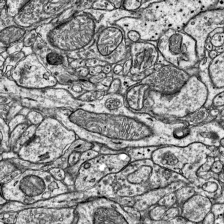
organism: Mouse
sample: Visual Cortex